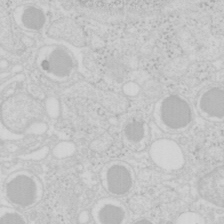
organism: Mouse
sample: Pancreas